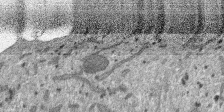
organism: Human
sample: Lung epithelial cells infected with SARS-CoV-2